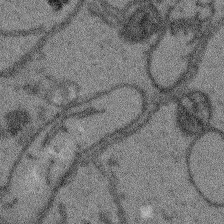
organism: Arabidopsis thaliana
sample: Root tip